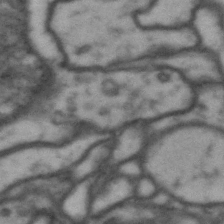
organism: Drosophila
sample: Brain